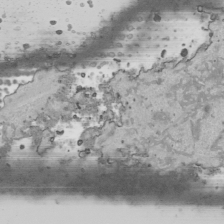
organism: Human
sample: Mitochondria in HCT116 cells